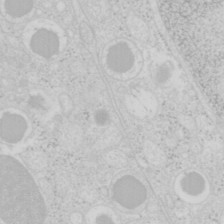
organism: Mouse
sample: Pancreas